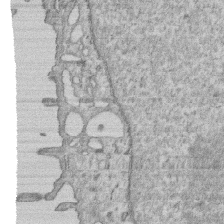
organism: Human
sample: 1205lu cells